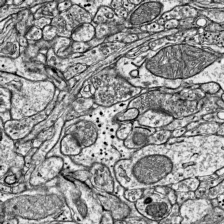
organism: Mouse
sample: Visual Cortex